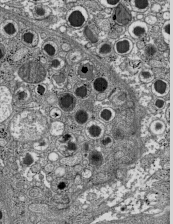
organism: C57BL Mouse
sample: Pancreatic islet